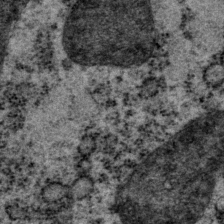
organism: P. pacificus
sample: Pharynx